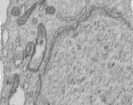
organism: Human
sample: Centriole in RPE cells